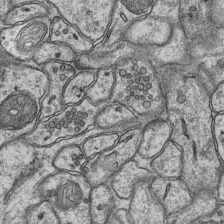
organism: Mouse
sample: CA1 Hippocampus